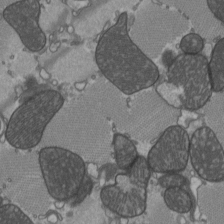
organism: C57BL Mouse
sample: Heart